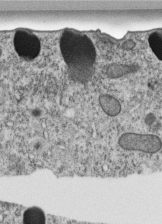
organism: C. elegans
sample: C. elegans embryo early stage